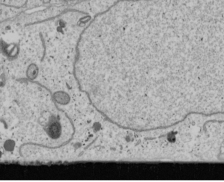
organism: Human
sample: Mitochondria in U2OS cells